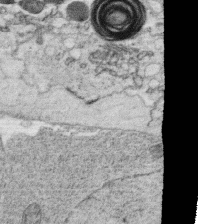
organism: C. elegans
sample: C. elegans oocyte; sperm cells